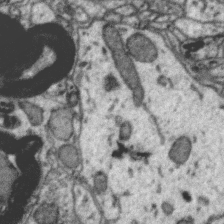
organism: Zebra finch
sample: Brain